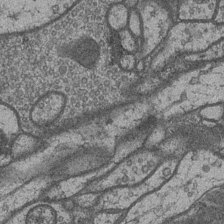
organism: Drosophila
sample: Optic medulla